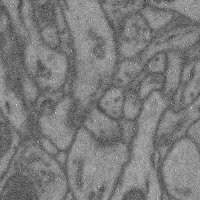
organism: Mouse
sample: Cerebral cortex